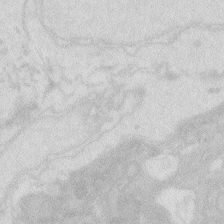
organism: Zebrafish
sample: Macrophage